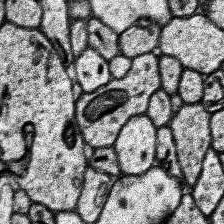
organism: Human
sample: Temporal Lobe